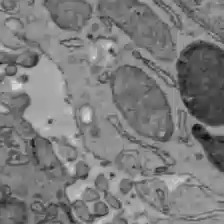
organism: C57BL Mouse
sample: Liver